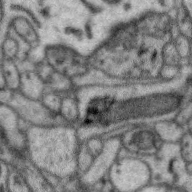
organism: Zebra finch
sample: Brain